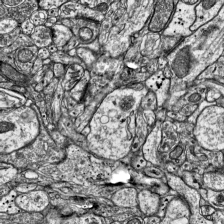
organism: Mouse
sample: Visual Cortex